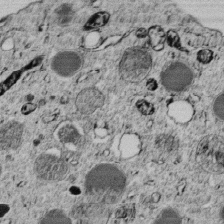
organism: C. elegans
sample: C. elegans embryo early stage